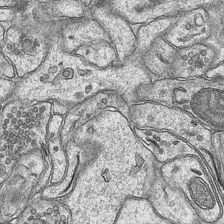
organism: Mouse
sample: CA1 Hippocampus